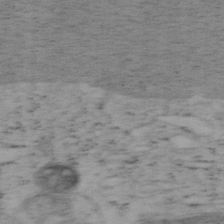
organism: Mouse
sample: OT-I killer T cells with ID8 ovarian cancer cells